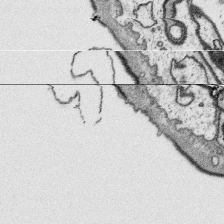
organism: Platynereis dumerilii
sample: Parapodia